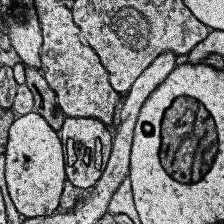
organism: Human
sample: Temporal Lobe